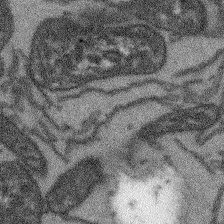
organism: Arabidopsis thaliana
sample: Root tip